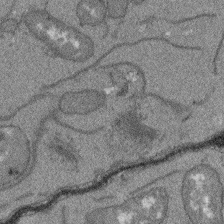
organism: Arabidopsis thaliana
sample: Root tip